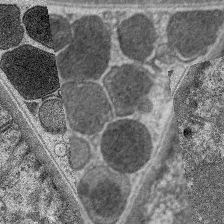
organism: C. elegans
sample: Pharynx